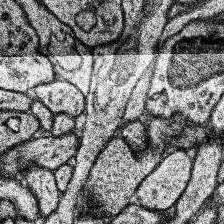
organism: Human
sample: Temporal Lobe